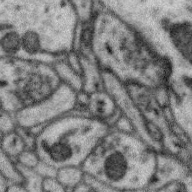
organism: Zebra finch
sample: Brain